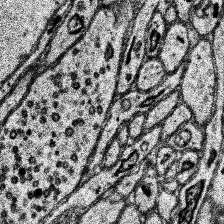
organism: Human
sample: Temporal Lobe